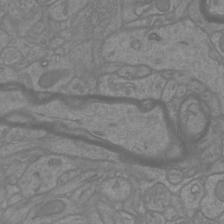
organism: Mouse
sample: Cortical neurons